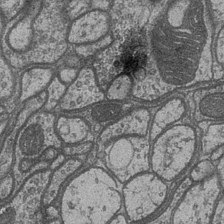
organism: Drosophila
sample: Optic medulla